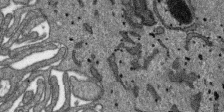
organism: Human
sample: Lung epithelial cells, uninfected (mock) control